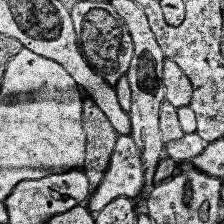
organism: Human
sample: Temporal Lobe